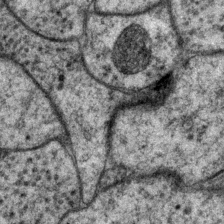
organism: P. pacificus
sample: Pharynx